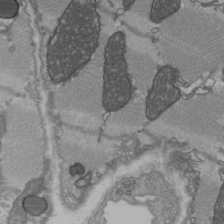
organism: C57BL Mouse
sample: Heart